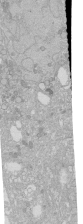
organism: Human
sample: Caco-2 cells